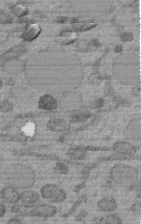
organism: C. elegans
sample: C. elegans embryo early stage